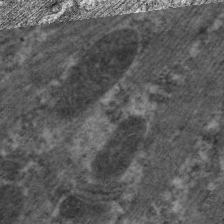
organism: C. elegans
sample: Pharynx